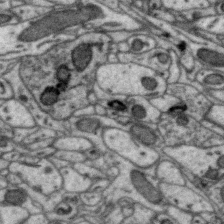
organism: Zebra finch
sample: Brain